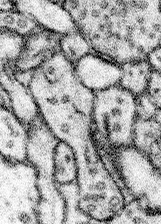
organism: Mouse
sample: Somatosensory cortex neuropil